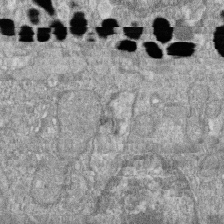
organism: Zebrafish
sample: Cilia; retinal pigment epithelium